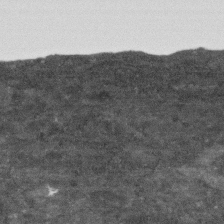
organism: Human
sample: Fibroblast cells